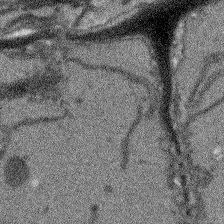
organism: Arabidopsis thaliana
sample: Root tip